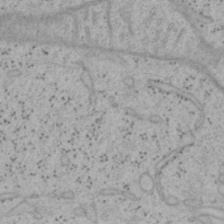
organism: Human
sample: HeLa cells